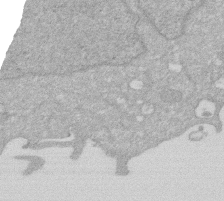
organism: Human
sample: HIV infected U937 cells